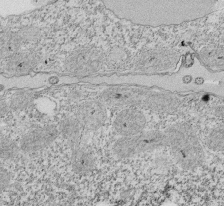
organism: Tetrahymena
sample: Cilia in tetrahymena